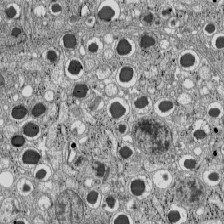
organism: C57BL Mouse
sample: Pancreatic islet